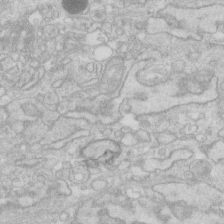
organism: Human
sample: Fibroblast cells